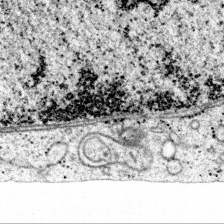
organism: Human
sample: HeLa cells